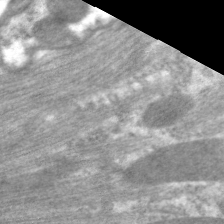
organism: C. elegans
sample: Pharynx